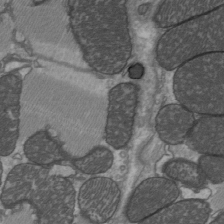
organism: C57BL Mouse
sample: Heart